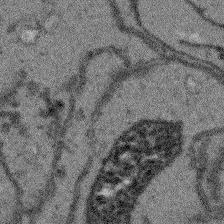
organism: Arabidopsis thaliana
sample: Root tip